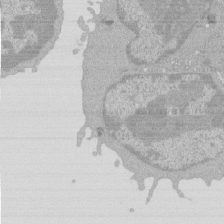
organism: Mouse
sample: Activated Pmel transgenic CD8+ T Cells